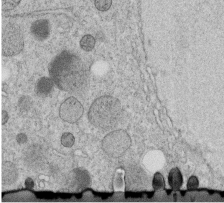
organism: C. elegans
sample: C. elegans embryo early stage